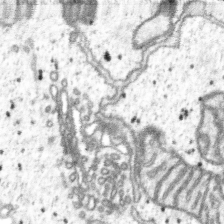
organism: Human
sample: HeLa cells